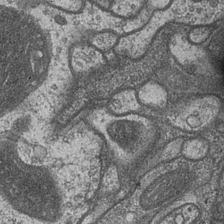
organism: Drosophila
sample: Optic medulla